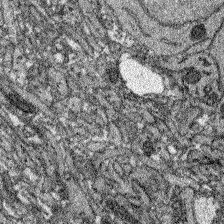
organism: Zebrafish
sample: Larval olfactory bulb